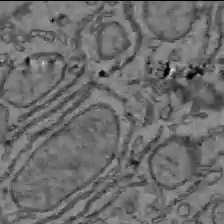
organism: C57BL Mouse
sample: Liver